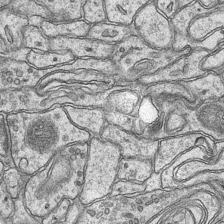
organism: Mouse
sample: CA1 Hippocampus